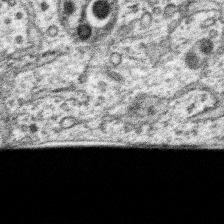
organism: Human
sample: HeLa cells